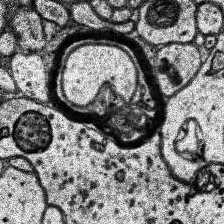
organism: Human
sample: Temporal Lobe